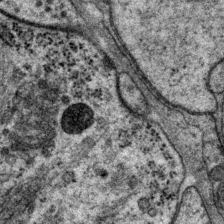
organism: P. pacificus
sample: Pharynx